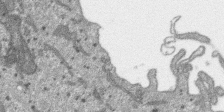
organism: Human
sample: Lung epithelial cells infected with SARS-CoV-2